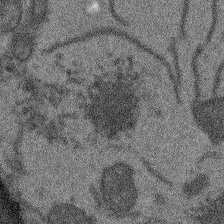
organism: Arabidopsis thaliana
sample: Root tip